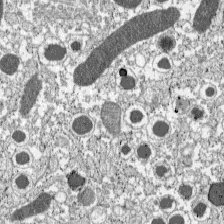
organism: C57BL Mouse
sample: Pancreatic islet